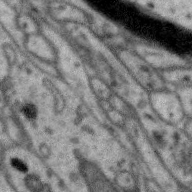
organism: Zebra finch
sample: Brain